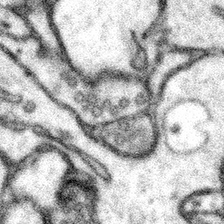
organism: Mouse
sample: Somatosensory cortex neuropil